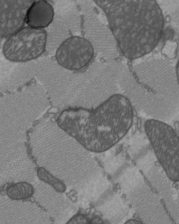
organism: C57BL Mouse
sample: Heart